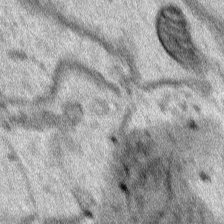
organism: Human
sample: Mitochondria in HCT116 cells